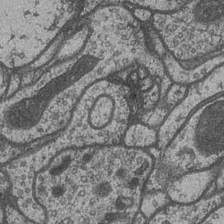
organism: Drosophila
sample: Optic medulla